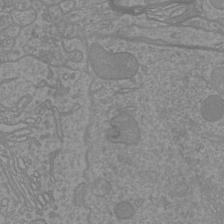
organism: Mouse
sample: Cortical neurons